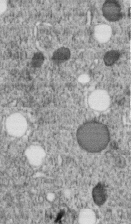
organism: C. elegans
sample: C. elegans embryo early stage